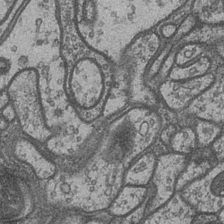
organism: Drosophila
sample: Optic medulla